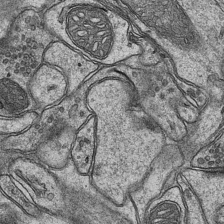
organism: Mouse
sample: CA1 Hippocampus